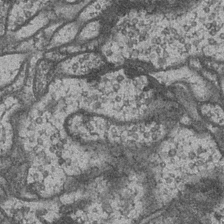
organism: Drosophila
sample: Optic medulla